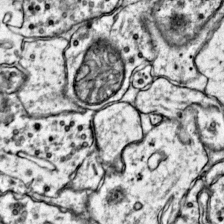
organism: Mouse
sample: Primary visual cortex